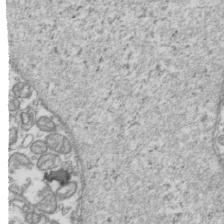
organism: Human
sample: Activated Jurkat CD4+ T cells